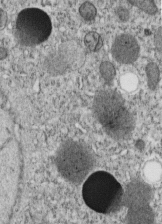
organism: C. elegans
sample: C. elegans embryo early stage